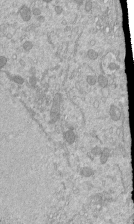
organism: Mouse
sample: ED-1 cell nuclei; centrioles